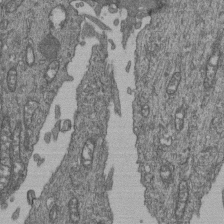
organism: Human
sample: Retinal organoid Rod and Cone cells